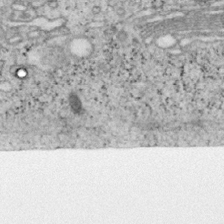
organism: Mouse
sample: OT-I killer T cells with ID8 ovarian cancer cells